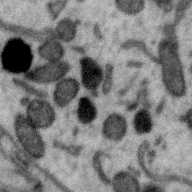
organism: Zebra finch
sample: Brain